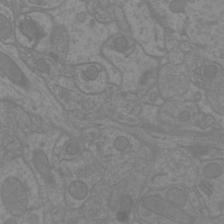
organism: Mouse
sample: Cortical neurons